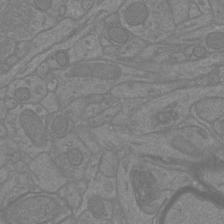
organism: Mouse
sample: Cortical neurons